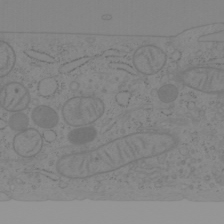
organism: Human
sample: HeLa cells